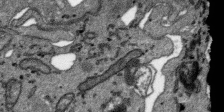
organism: Human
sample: Lung epithelial cells, uninfected (mock) control